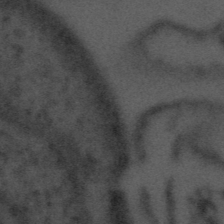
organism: Tuwongella immobilis